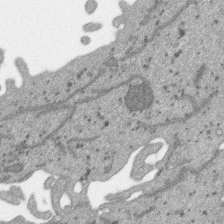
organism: Human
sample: Lung epithelial cells infected with SARS-CoV-2